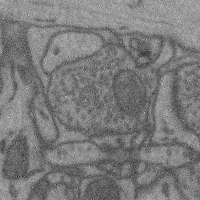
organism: Mouse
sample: Cerebral cortex